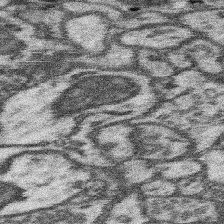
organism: Mouse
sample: Somatosensory cortex neuropil